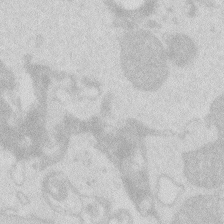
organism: Zebrafish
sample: Macrophage